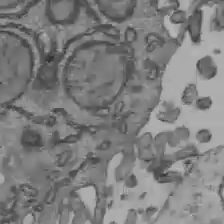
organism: C57BL Mouse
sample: Liver